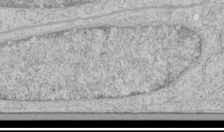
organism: Human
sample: Mitochondria in HCT116 cells